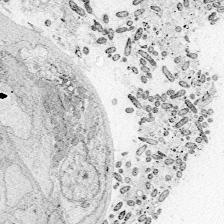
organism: Zebrafish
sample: Whole-Brain